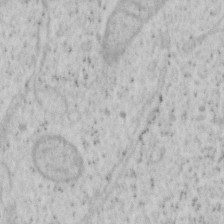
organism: Human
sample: HeLa cells